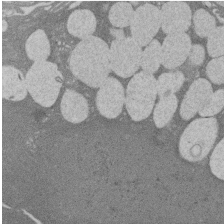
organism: Rat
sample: Salivary granule